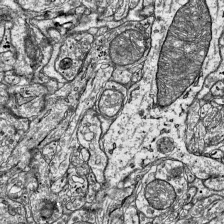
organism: Mouse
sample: Visual Cortex